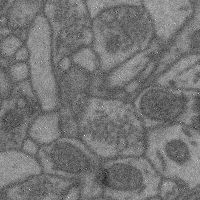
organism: Mouse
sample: Cerebral cortex